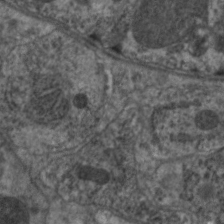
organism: C. elegans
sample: Pharynx